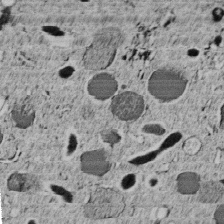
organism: C. elegans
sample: C. elegans embryo early stage